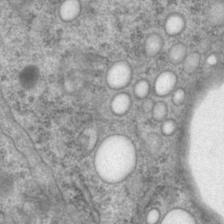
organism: P. pacificus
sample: Pharynx